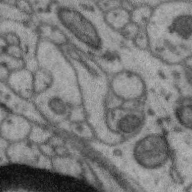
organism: Zebra finch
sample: Brain